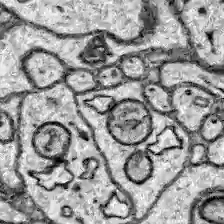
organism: Zebrafish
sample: Brain